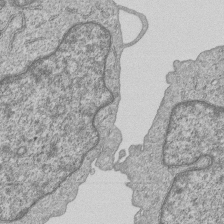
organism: Human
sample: MDA-MB-231 cells